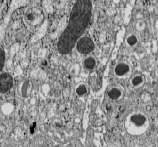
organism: C57BL Mouse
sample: Pancreatic islet